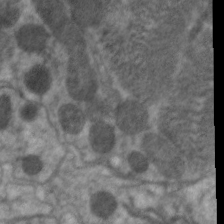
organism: C. elegans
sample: Pharynx